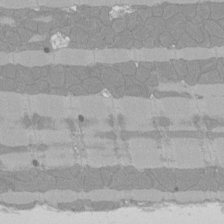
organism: Rat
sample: Left ventricle